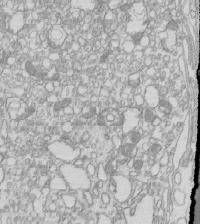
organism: Mouse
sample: Macrophages